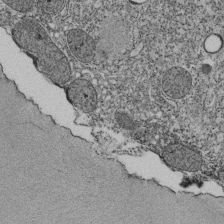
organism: Tetrahymena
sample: Cilia in tetrahymena